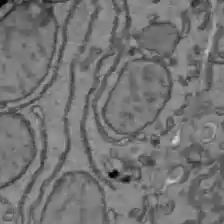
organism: C57BL Mouse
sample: Liver